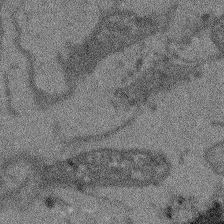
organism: Arabidopsis thaliana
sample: Root tip